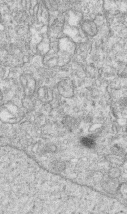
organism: Human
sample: HeLa cell HIV synapse